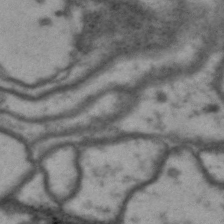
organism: Drosophila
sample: Brain